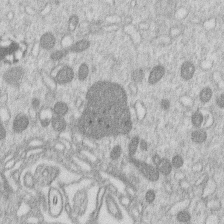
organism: Human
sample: Macrophage cells